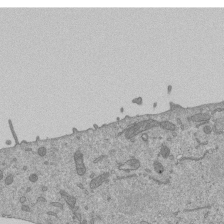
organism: Mouse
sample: ED-1 cell nuclei; centrioles